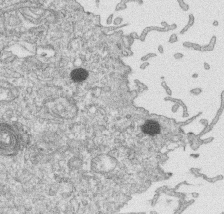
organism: Human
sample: HeLa cell HIV synapse